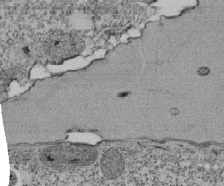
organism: Tetrahymena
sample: Cilia in tetrahymena